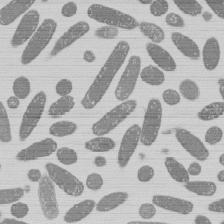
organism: E. coli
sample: Bacterial nucleoid